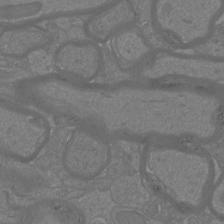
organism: Mouse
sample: Cortical neurons